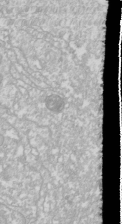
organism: Drosophila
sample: Cell division; meiosis; drosophila spermatocytes